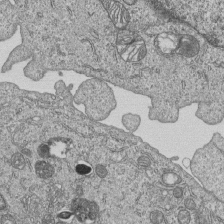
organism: Human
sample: MDA-MB-231 cells